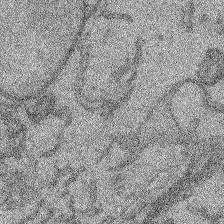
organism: Human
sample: HeLa cells